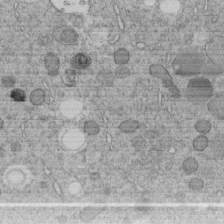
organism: C. elegans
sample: C. elegans embryo early stage